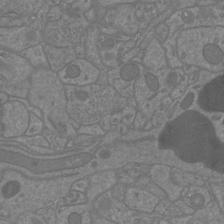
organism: Mouse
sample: Cortical neurons